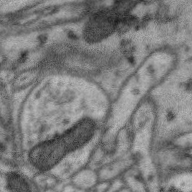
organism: Zebra finch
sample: Brain